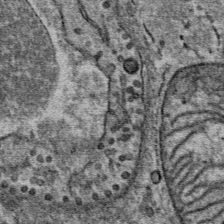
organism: Mouse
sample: Mouse Salivary gland